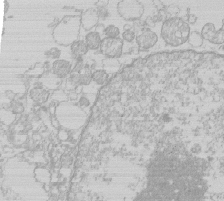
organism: Human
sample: Macrophage cells